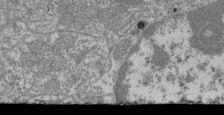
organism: Mouse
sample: Glomerulus